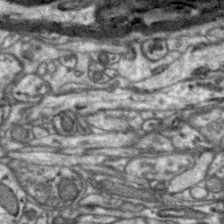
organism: Zebra finch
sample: Brain